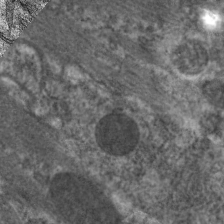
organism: C. elegans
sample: Pharynx